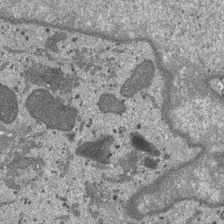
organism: Human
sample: Lung epithelial cells infected with SARS-CoV-2